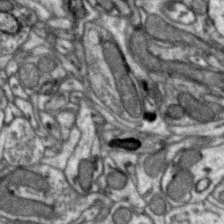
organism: Zebra finch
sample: Brain